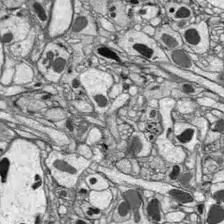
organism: Drosophila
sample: Optic lobe